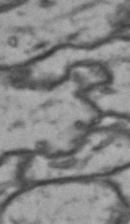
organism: Drosophila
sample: Brain